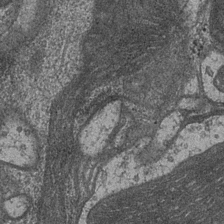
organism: Drosophila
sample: Optic medulla